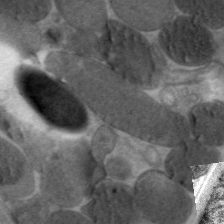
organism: C. elegans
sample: Pharynx